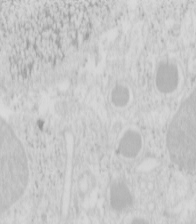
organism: Mouse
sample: Pancreas